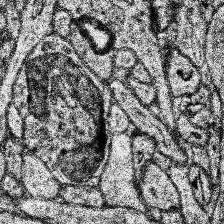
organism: Human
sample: Temporal Lobe